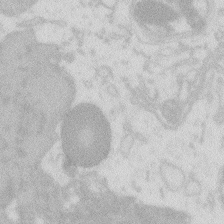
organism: Zebrafish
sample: Macrophage